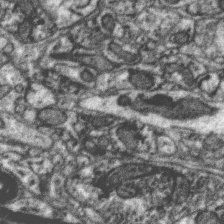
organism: Zebra finch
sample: Brain